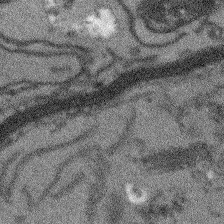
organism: Arabidopsis thaliana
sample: Root tip